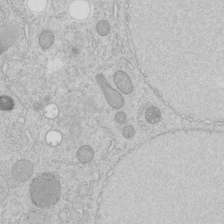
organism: C. elegans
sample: C. elegans embryo early stage